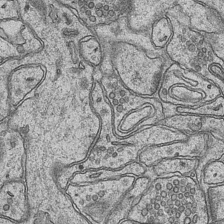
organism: Mouse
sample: CA1 Hippocampus